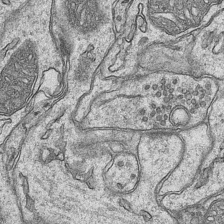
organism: Mouse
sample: CA1 Hippocampus